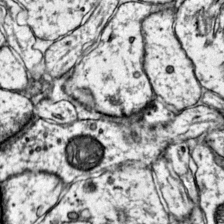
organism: Mouse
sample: Primary visual cortex